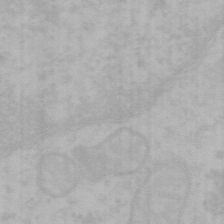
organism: Mouse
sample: Choroid plexus